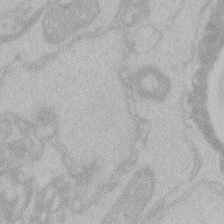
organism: Zebrafish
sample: Macrophage infected with Toxoplasma gondii